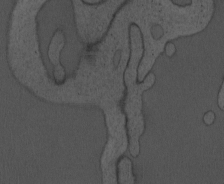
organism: Mouse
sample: OT-I killer T cells with ID8 ovarian cancer cells